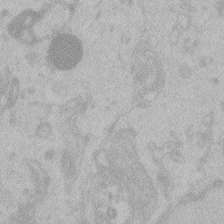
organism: Zebrafish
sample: Macrophage infected with Toxoplasma gondii